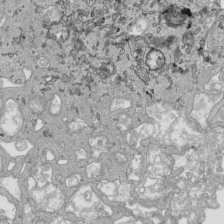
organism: Human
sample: Mitochondria in HCT116 cells